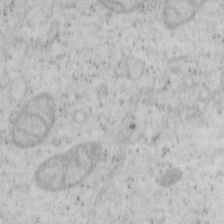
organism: Human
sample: HeLa cells